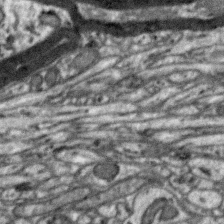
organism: Zebra finch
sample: Brain